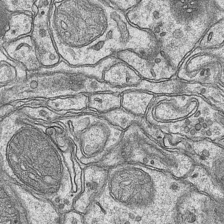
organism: Mouse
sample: CA1 Hippocampus